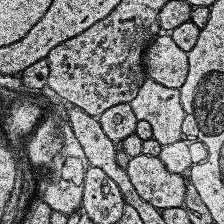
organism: Human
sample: Temporal Lobe